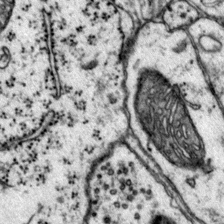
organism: Mouse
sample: Primary visual cortex